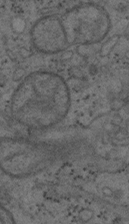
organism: Human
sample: HeLa cells